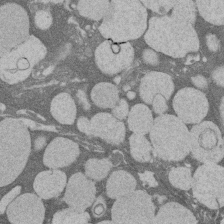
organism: Rat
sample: Salivary granule